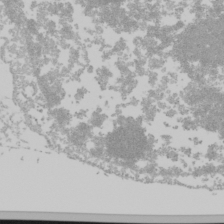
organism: Mouse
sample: Cancer cell death in ED-1 cells